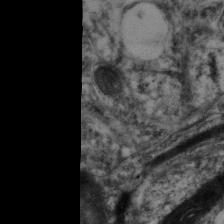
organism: Mouse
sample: Neocortex